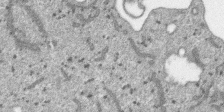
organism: Human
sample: Lung epithelial cells infected with SARS-CoV-2